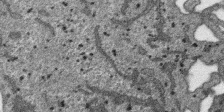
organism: Human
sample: Lung epithelial cells infected with SARS-CoV-2